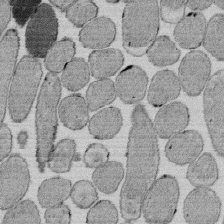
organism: E. coli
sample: Bacterial nucleoid